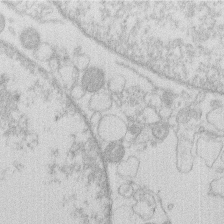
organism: Human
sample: Macrophage cells